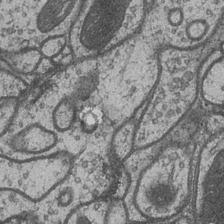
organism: Drosophila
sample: Optic medulla